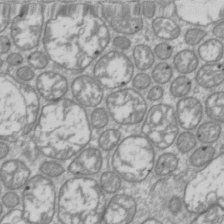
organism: Drosophila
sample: Cell division; meiosis; drosophila spermatocytes